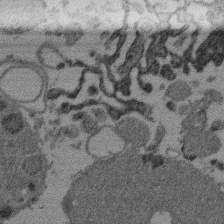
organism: Mouse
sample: Dividing mouse embryo 1 cell stage